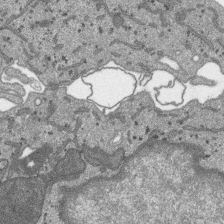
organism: Human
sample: Lung epithelial cells infected with SARS-CoV-2